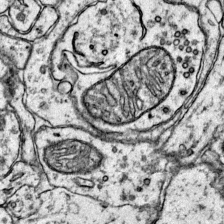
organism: Mouse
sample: Primary visual cortex